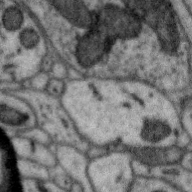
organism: Zebra finch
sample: Brain